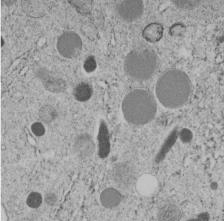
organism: C. elegans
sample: C. elegans embryo early stage